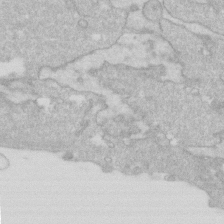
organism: Human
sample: Fibroblast cells